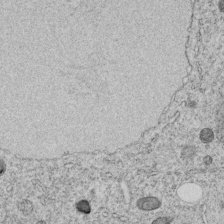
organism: C. elegans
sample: C. elegans embryo early stage